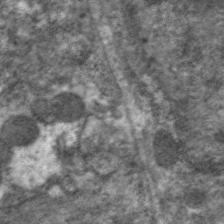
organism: C. elegans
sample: Pharynx